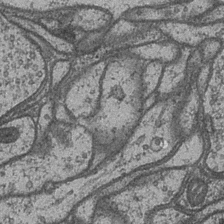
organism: Drosophila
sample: Optic medulla